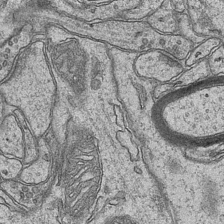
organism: Mouse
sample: CA1 Hippocampus